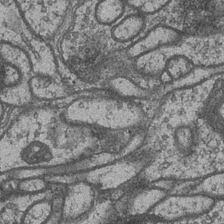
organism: Drosophila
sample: Optic medulla